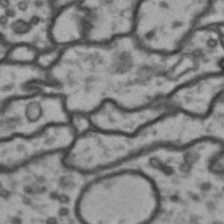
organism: Drosophila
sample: Brain